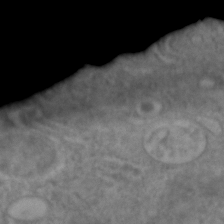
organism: C. elegans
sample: C. elegans embryo